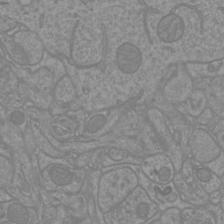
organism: Mouse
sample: Cortical neurons